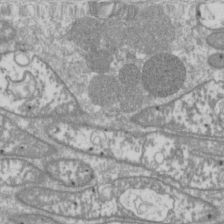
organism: Drosophila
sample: Cell division; meiosis; drosophila spermatocytes